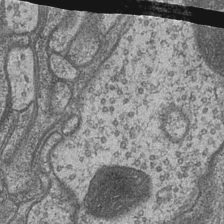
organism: Drosophila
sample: Optic medulla